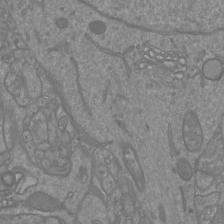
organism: Mouse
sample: Cortical neurons